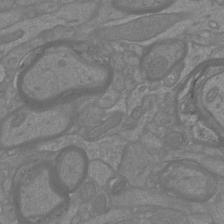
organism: Mouse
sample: Cortical neurons